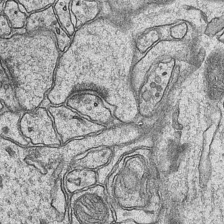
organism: Mouse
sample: CA1 Hippocampus